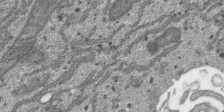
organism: Human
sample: Lung epithelial cells infected with SARS-CoV-2